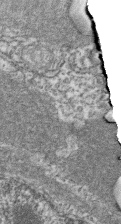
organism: Zebrafish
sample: Cilia; retinal pigment epithelium